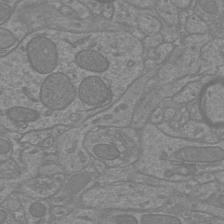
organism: Mouse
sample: Cortical neurons